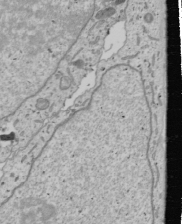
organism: Human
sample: Mitochondria in U2OS cells